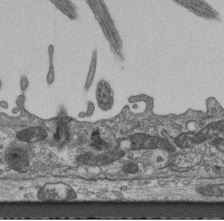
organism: Mouse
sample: Centriole in ependymal cells